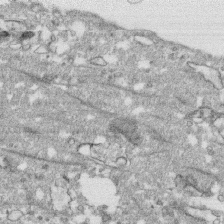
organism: Human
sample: CRL-1474